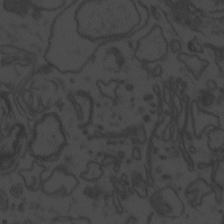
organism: Zebrafish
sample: Macrophage infected with Toxoplasma gondii